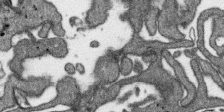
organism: Human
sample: Lung epithelial cells, uninfected (mock) control